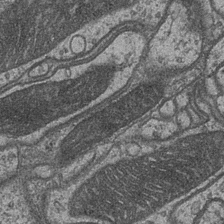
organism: Drosophila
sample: Optic medulla